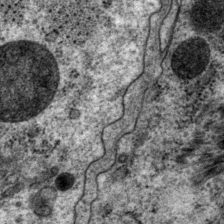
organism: P. pacificus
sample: Pharynx